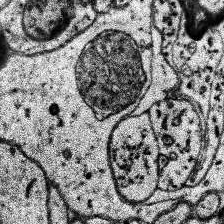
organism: Human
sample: Temporal Lobe